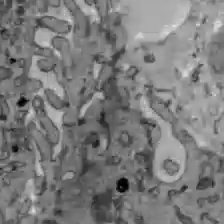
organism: C57BL Mouse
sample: Liver